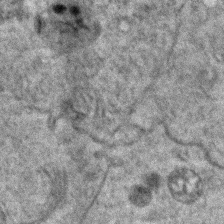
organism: Zebrafish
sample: Zebrafish embryo